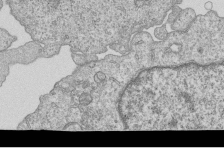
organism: Human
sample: MDA-MB-231 cells